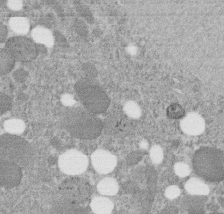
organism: C. elegans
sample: C. elegans embryo early stage